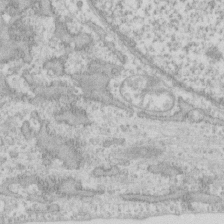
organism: Human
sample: Fibroblast cells